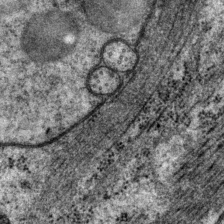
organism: P. pacificus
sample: Pharynx